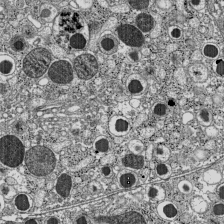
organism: C57BL Mouse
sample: Pancreatic islet